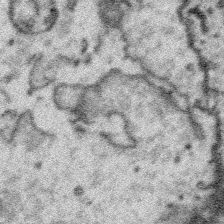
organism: Platynereis dumerilii